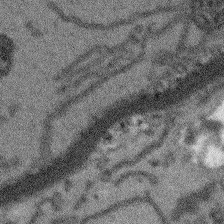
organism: Arabidopsis thaliana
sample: Root tip